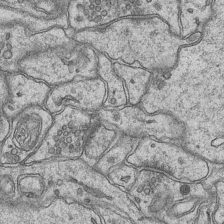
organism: Mouse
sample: CA1 Hippocampus